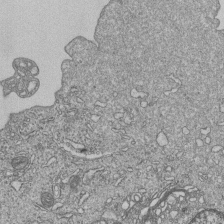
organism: Human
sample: MDA-MB-231 cells